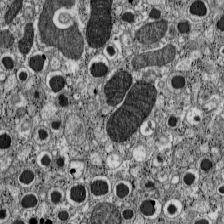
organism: C57BL Mouse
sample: Pancreatic islet